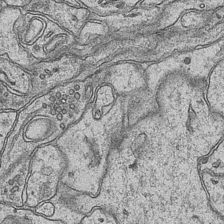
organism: Mouse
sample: CA1 Hippocampus